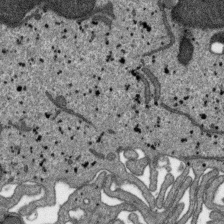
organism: Human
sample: Lung epithelial cells, uninfected (mock) control